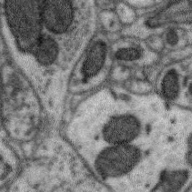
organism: Zebra finch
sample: Brain